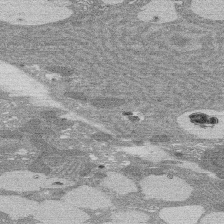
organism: Rat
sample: Salivary granule